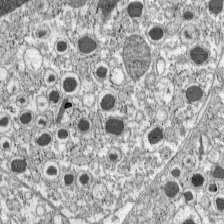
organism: C57BL Mouse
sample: Pancreatic islet